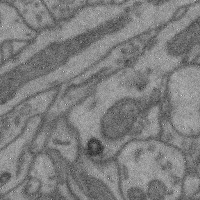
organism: Mouse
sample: Cerebral cortex